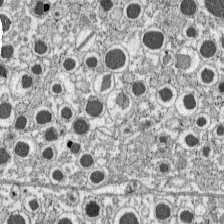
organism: C57BL Mouse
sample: Pancreatic islet